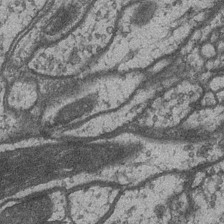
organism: Drosophila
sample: Optic medulla